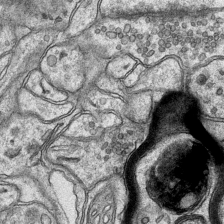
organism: Mouse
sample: CA1 Hippocampus